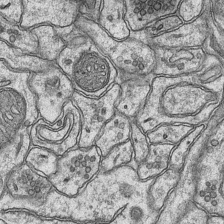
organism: Mouse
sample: CA1 Hippocampus